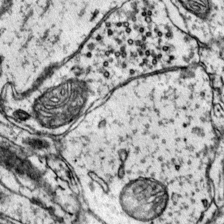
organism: Mouse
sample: Primary visual cortex